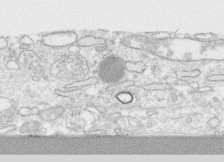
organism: Human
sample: CRL-1474